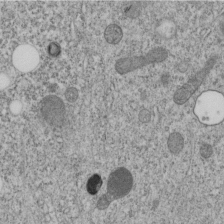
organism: C. elegans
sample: C. elegans embryo early stage